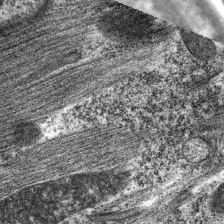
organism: C. elegans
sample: Pharynx